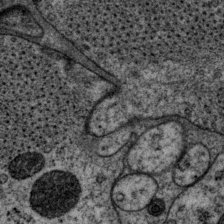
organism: P. pacificus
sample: Pharynx